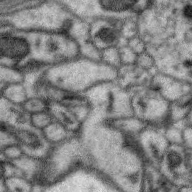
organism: Zebra finch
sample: Brain